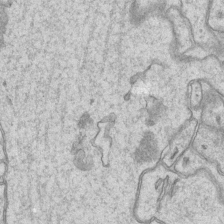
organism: Mouse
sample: CA1 Hippocampus